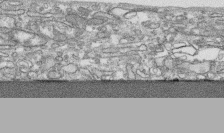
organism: Human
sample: CRL-1474